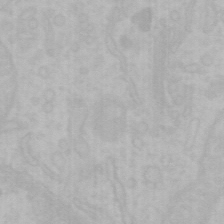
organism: Mouse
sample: Choroid plexus